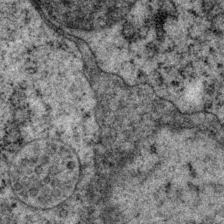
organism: P. pacificus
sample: Pharynx